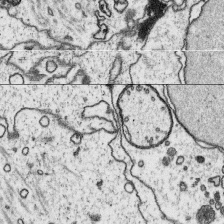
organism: Platynereis dumerilii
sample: Parapodia